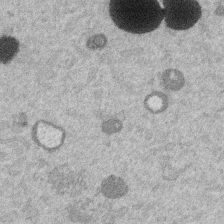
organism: Mouse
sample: Dividing mouse embryo 1 cell stage